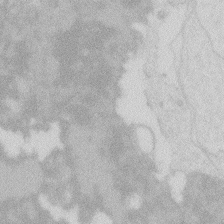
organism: Zebrafish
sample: Macrophage